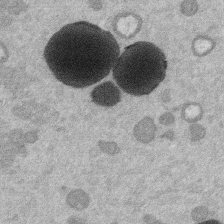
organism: Mouse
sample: Dividing mouse embryo 1 cell stage